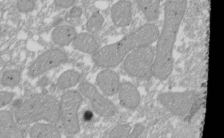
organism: Xenopus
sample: Cilia; centrioles in frog embryo cells